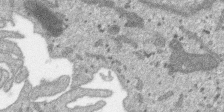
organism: Human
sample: Lung epithelial cells infected with SARS-CoV-2